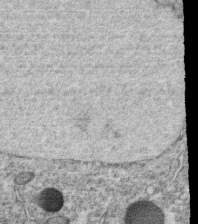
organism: C. elegans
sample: C. elegans oocyte; sperm cells